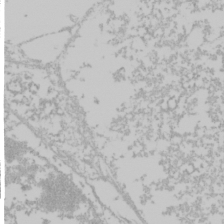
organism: Mouse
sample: Cancer cell death in ED-1 cells